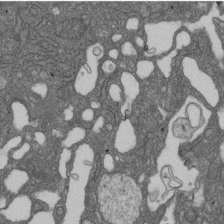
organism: Drosophila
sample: Nephrocyte